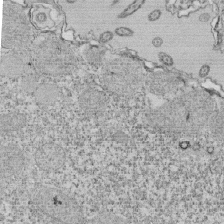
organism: Tetrahymena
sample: Cilia in tetrahymena